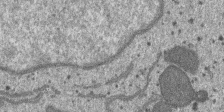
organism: Human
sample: Lung epithelial cells infected with SARS-CoV-2